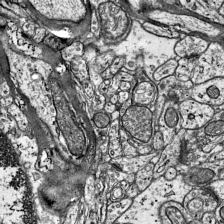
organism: Mouse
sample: Visual Cortex